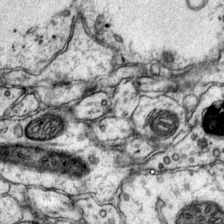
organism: Mouse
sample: Primary visual cortex